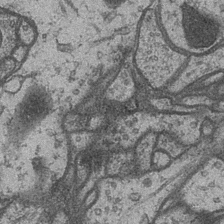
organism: Drosophila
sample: Optic medulla